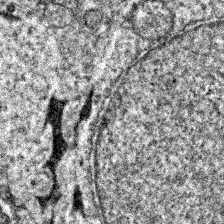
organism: Zebrafish